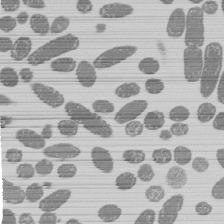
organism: E. coli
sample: Bacterial nucleoid